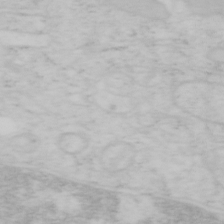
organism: Mouse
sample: OT-I killer T cells with ID8 ovarian cancer cells